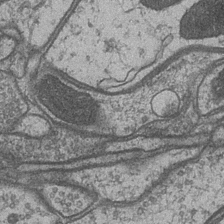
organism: Drosophila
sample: Optic medulla